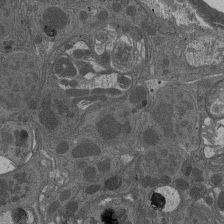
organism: Drosophila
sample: Antenna